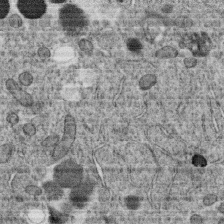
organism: C. elegans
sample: C. elegans oocyte; sperm cells